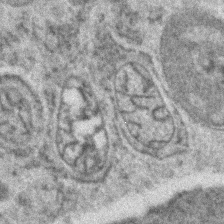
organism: Zebrafish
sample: Zebrafish embryo